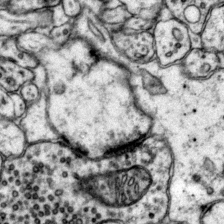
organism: Mouse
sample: Primary visual cortex